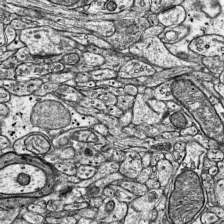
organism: Mouse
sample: Visual Cortex